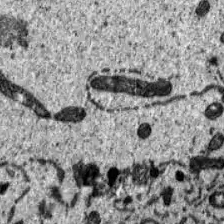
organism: Human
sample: HeLa cells